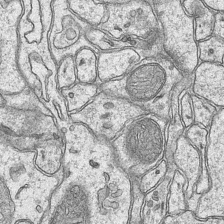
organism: Mouse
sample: CA1 Hippocampus